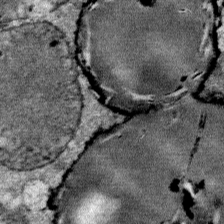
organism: Mouse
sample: Mouse Salivary gland